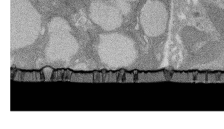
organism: Rat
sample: Salivary granule